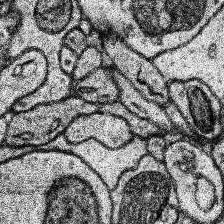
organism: Human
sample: Temporal Lobe